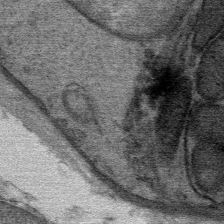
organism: Mouse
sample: Mouse Salivary gland